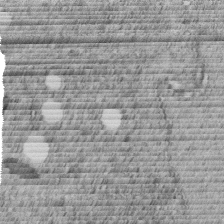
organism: C. elegans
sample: C. elegans embryo early stage